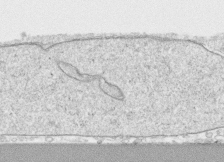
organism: Human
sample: CRL-1474